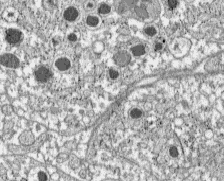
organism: C57BL Mouse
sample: Pancreatic islet